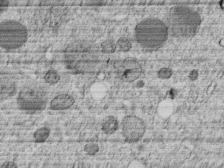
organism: C. elegans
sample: C. elegans embryo early stage